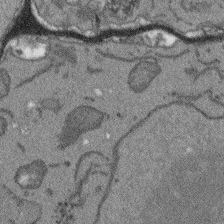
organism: Arabidopsis thaliana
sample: Root tip